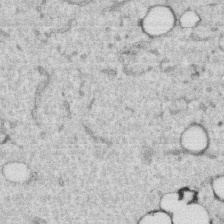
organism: Human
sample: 1205lu cells